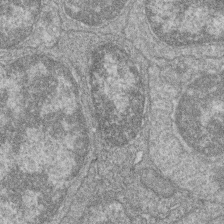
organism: Zebrafish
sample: Cilia; retinal pigment epithelium